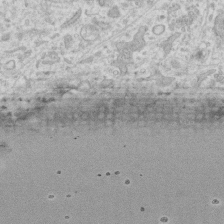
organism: Human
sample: Fibroblast cells